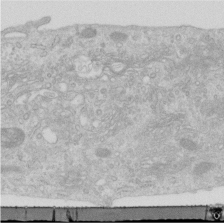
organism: Human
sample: Centriole in RPE cells